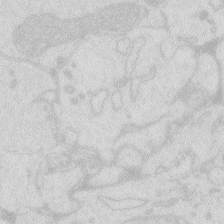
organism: Zebrafish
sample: Macrophage